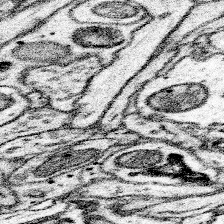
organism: Mouse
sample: Somatosensory cortex neuropil